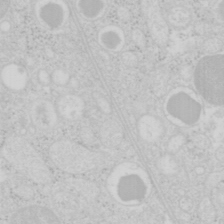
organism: Mouse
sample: Pancreas